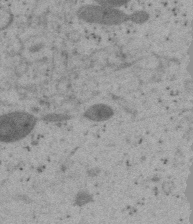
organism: Human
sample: HeLa cells